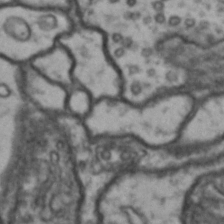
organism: Drosophila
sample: Brain